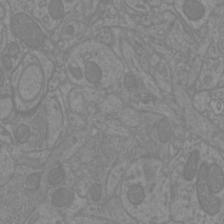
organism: Mouse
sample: Cortical neurons